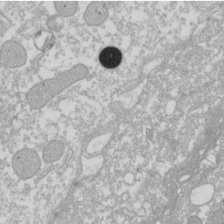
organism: Xenopus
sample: Cilia; centrioles in frog embryo cells